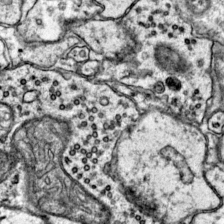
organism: Mouse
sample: Primary visual cortex